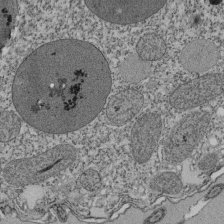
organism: Tetrahymena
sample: Cilia in tetrahymena